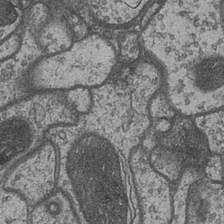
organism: Drosophila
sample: Optic medulla